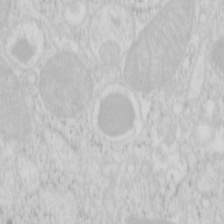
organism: Mouse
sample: Pancreas